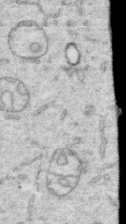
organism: Human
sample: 1205lu cells